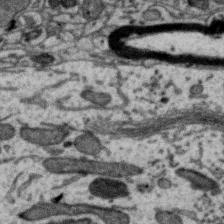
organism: Zebra finch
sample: Brain